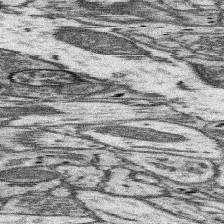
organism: Mouse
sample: Somatosensory cortex neuropil